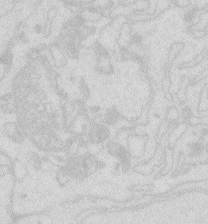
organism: Zebrafish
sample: Macrophage